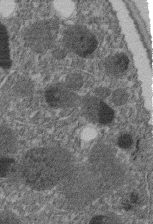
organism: C. elegans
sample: C. elegans embryo early stage